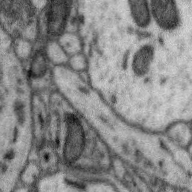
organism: Zebra finch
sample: Brain